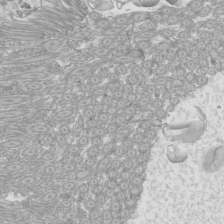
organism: Mouse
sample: Cilia; mouse epididymis